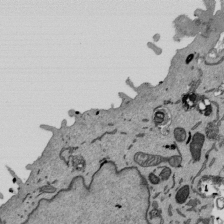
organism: Mouse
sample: ED-1 cell nuclei; centrioles